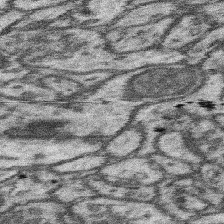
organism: Mouse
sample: Somatosensory cortex neuropil